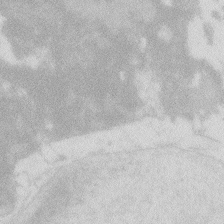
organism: Zebrafish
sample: Macrophage